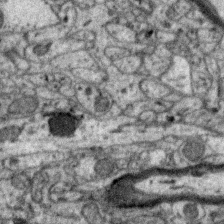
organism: Zebra finch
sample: Brain